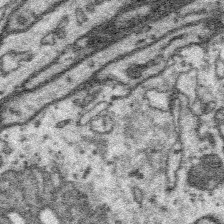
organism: Platynereis dumerilii